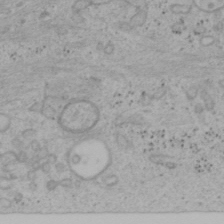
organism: Human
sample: HeLa cells